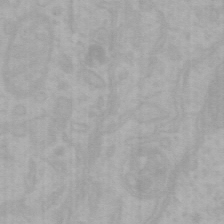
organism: Mouse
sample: Choroid plexus